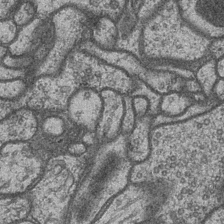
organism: Drosophila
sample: Optic medulla